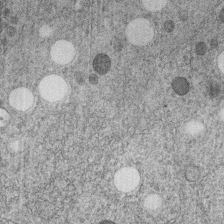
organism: C. elegans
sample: C. elegans embryo early stage